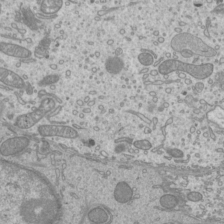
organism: Mouse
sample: Cilia; mouse epididymis